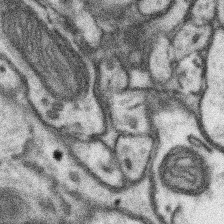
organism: Mouse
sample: Somatosensory cortex neuropil